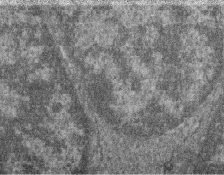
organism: Zebrafish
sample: Cilia; retinal pigment epithelium